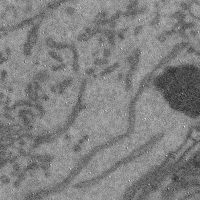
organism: Mouse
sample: Cerebral cortex